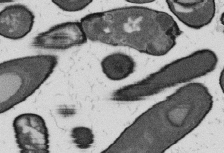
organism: B. subtilis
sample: Bacterial spore